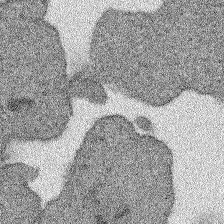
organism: Human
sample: HeLa cells